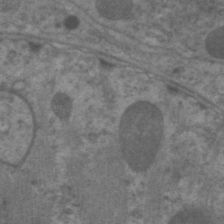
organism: C. elegans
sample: Pharynx